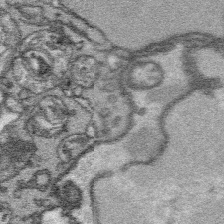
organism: Platynereis dumerilii